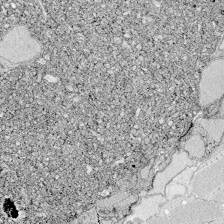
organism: Zebrafish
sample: Whole-Brain